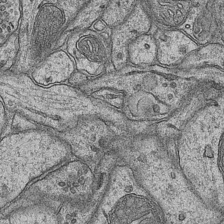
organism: Mouse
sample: CA1 Hippocampus